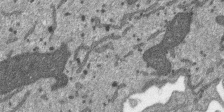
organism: Human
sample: Lung epithelial cells infected with SARS-CoV-2